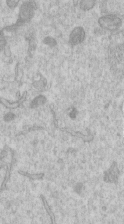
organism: Human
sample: Centriole in RPE cells